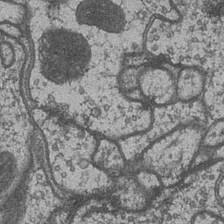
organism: Drosophila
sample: Optic medulla